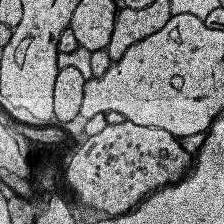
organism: Human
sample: Temporal Lobe